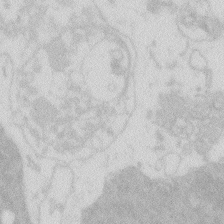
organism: Zebrafish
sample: Macrophage